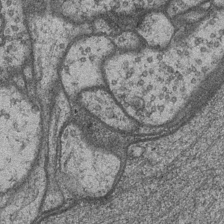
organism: Drosophila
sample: Optic medulla